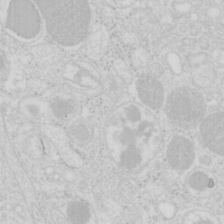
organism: Mouse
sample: Pancreas